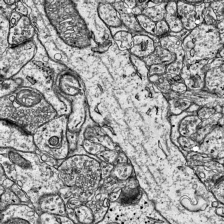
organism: Mouse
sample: Visual Cortex